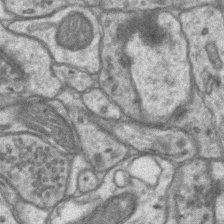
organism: Mouse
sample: CA1 Hippocampus